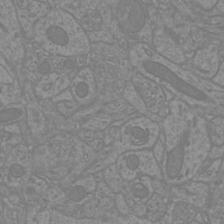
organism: Mouse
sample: Cortical neurons